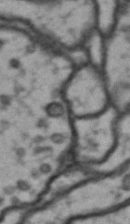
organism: Drosophila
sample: Brain